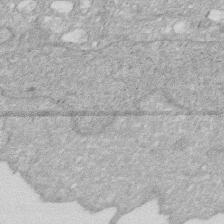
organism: Human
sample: HIV infected U937 cells